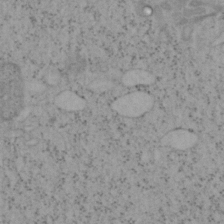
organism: Mouse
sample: OT-I killer T cells with ID8 ovarian cancer cells